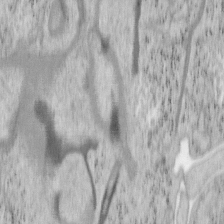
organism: Human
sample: HeLa cells